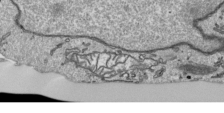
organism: Human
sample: Mitochondria in HCT116 cells